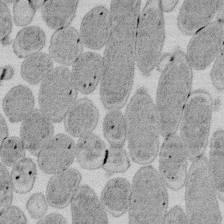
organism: E. coli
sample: Bacterial nucleoid